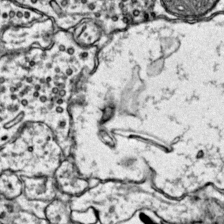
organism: Mouse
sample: Primary visual cortex